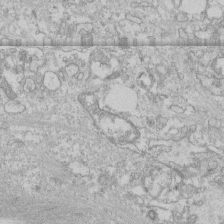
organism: Human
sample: CRL-1474